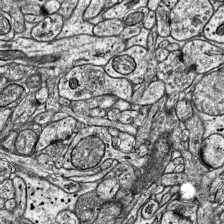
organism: Mouse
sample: Visual Cortex